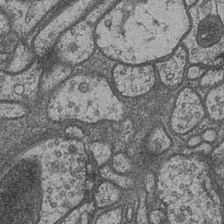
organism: Drosophila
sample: Optic medulla